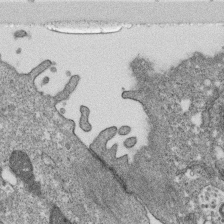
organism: African green monkey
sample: Vero E6 cells infected with SARS-CoV-2